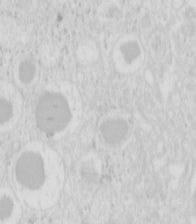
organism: Mouse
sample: Pancreas